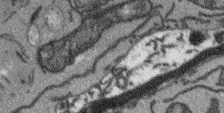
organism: Arabidopsis thaliana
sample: Root tip